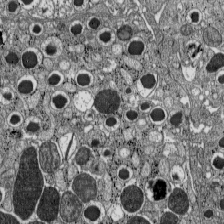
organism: C57BL Mouse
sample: Pancreatic islet